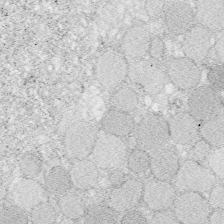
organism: Zebrafish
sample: Whole-Brain